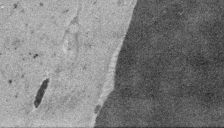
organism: Embia sp.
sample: Silk gland